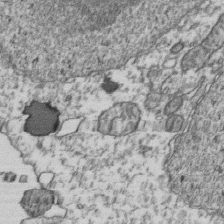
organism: Human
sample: Activated Jurkat CD4+ T cells